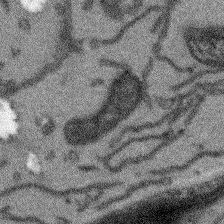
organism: Arabidopsis thaliana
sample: Root tip